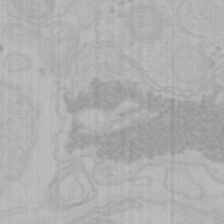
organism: Mouse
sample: Choroid plexus